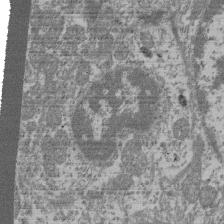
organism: Mouse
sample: Glomerulus